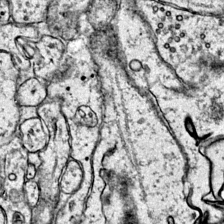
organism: Mouse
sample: Primary visual cortex